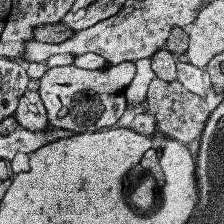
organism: Human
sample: Temporal Lobe